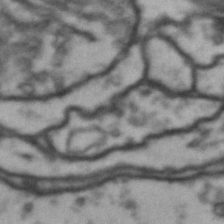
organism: Drosophila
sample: Brain